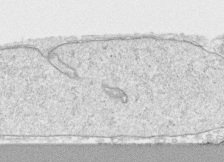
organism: Human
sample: CRL-1474